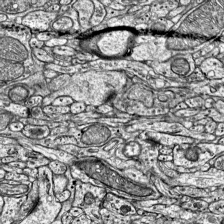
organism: Mouse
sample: Visual Cortex